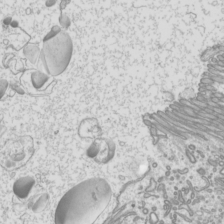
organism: Mouse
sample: Cilia; mouse epididymis